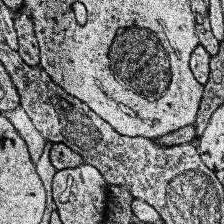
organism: Human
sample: Temporal Lobe